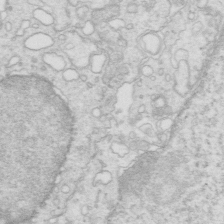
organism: Mouse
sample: Multiciliated cells